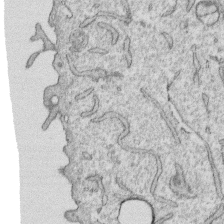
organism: Human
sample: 1205lu cells